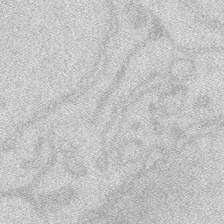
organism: Zebrafish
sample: Macrophage